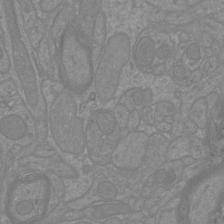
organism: Mouse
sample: Cortical neurons